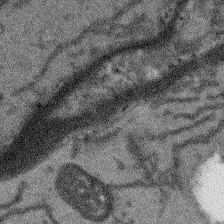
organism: Arabidopsis thaliana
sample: Root tip